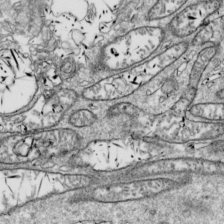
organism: Drosophila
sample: Cell division; meiosis; drosophila spermatocytes